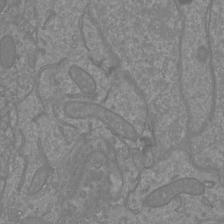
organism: Mouse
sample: Cortical neurons